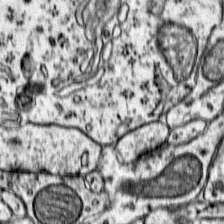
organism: Mouse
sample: Primary visual cortex